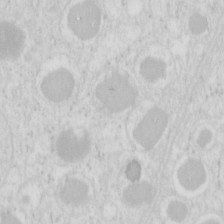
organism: Mouse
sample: Pancreas